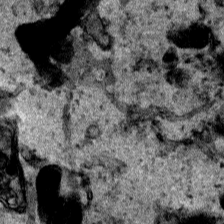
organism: Human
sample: Mitochondria in HCT116 cells